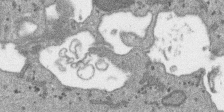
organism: Human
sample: Lung epithelial cells infected with SARS-CoV-2